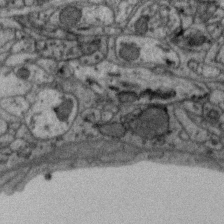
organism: Zebra finch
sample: Brain